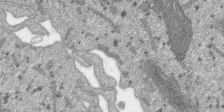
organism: Human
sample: Lung epithelial cells infected with SARS-CoV-2